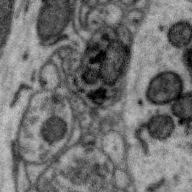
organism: Zebra finch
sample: Brain